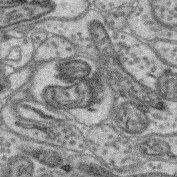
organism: Mouse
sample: Retina